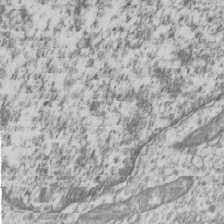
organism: Human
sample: MDA-MB-231 cells